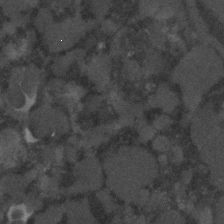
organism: C. elegans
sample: C. elegans embryo